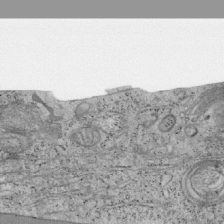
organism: Human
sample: HeLa cells